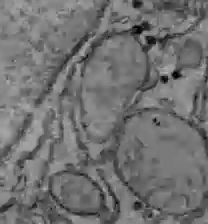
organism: C57BL Mouse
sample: Liver